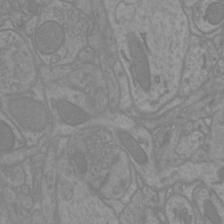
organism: Mouse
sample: Cortical neurons